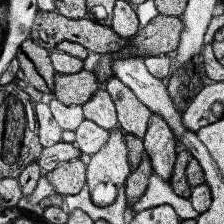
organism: Human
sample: Temporal Lobe